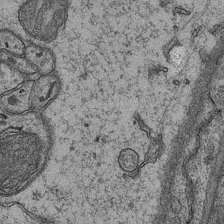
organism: Mouse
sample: CA1 Hippocampus